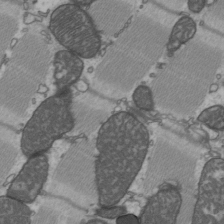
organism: C57BL Mouse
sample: Heart